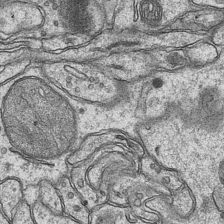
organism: Mouse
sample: CA1 Hippocampus